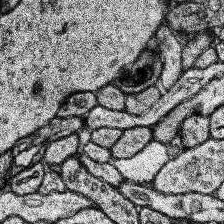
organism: Human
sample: Temporal Lobe